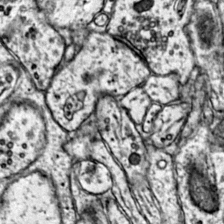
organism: Mouse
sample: Primary visual cortex